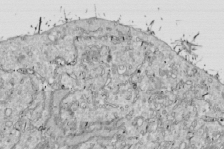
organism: Drosophila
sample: Cell division; meiosis; drosophila spermatocytes